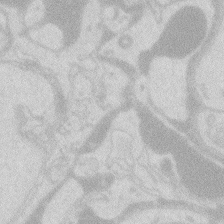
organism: Zebrafish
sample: Macrophage